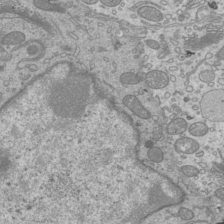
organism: Mouse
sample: Cilia; mouse epididymis